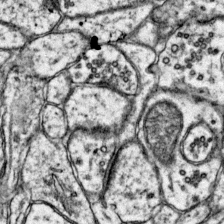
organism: Mouse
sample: Primary visual cortex